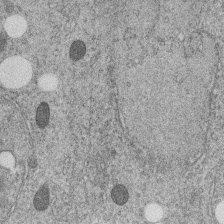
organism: C. elegans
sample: C. elegans embryo early stage